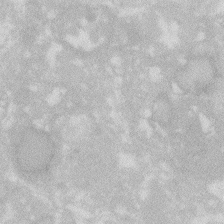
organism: Zebrafish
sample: Macrophage